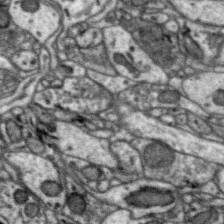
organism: Zebra finch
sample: Brain